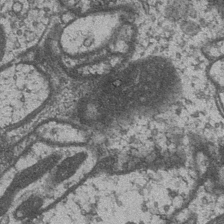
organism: Drosophila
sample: Optic medulla